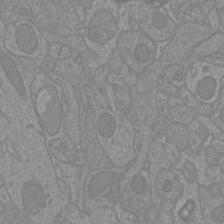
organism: Mouse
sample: Cortical neurons